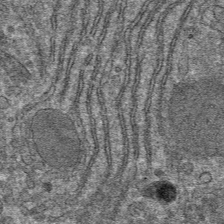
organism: Mouse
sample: Mouse hepatocytes